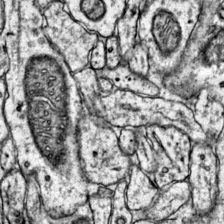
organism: Mouse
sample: Primary visual cortex